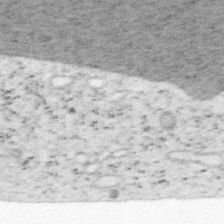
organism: Mouse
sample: OT-I killer T cells with ID8 ovarian cancer cells